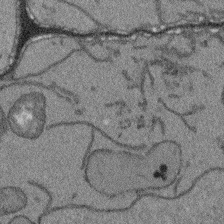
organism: Arabidopsis thaliana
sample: Root tip